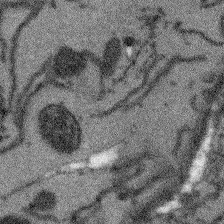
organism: Arabidopsis thaliana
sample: Root tip